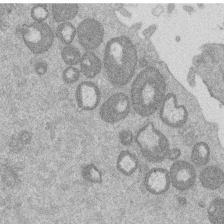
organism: Mouse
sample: Dividing mouse embryo 1 cell stage